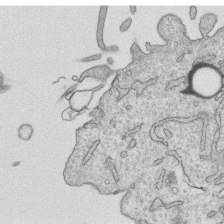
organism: Human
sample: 1205lu cells